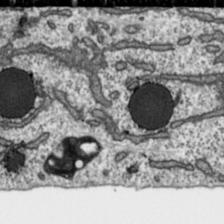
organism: Toxoplasma gondii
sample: Parasites in a vacuole inside a host cell